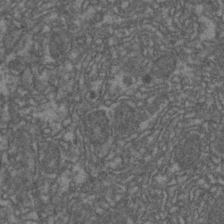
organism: Zebrafish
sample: Zebrafish embryo